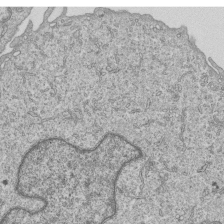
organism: Human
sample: MDA-MB-231 cells